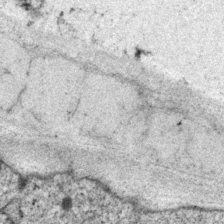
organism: P. pacificus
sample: Pharynx